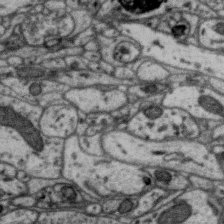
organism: Zebra finch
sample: Brain